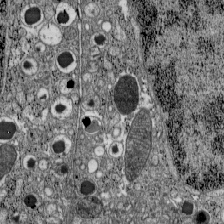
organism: C57BL Mouse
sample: Pancreatic islet